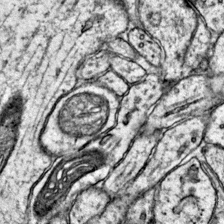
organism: Mouse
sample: Primary visual cortex